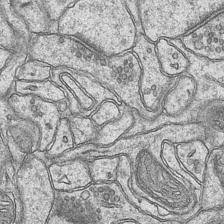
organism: Mouse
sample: CA1 Hippocampus